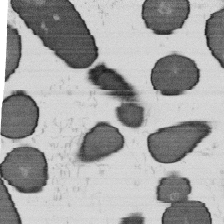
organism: B. subtilis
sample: Bacterial spore